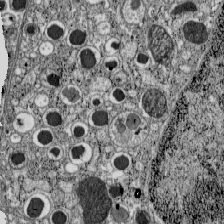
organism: C57BL Mouse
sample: Pancreatic islet